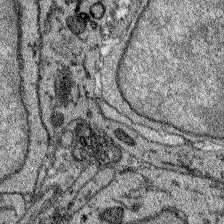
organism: Zebrafish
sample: Larval olfactory bulb